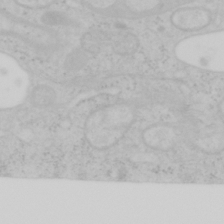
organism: Mouse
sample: OT-I killer T cells with ID8 ovarian cancer cells